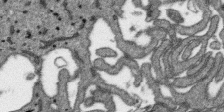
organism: Human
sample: Lung epithelial cells, uninfected (mock) control